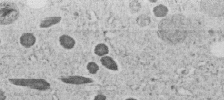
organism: C. elegans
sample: C. elegans embryo early stage